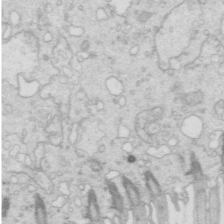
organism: Mouse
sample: Multiciliated cells